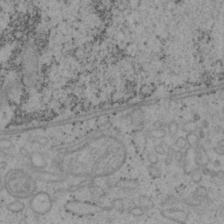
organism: Human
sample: HeLa cells